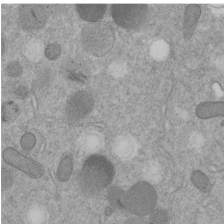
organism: C. elegans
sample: C. elegans embryo early stage